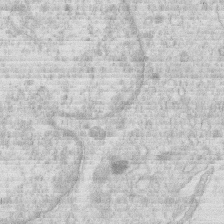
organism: Human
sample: Macrophage cells